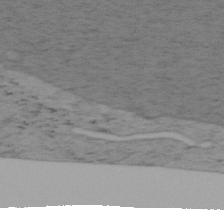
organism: Mouse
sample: OT-I killer T cells with ID8 ovarian cancer cells